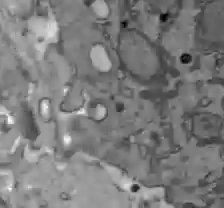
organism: C57BL Mouse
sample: Liver